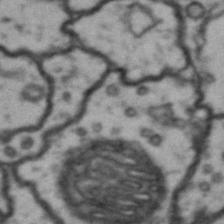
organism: Drosophila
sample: Brain